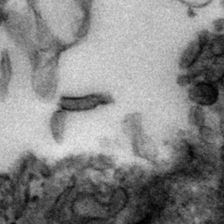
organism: Mouse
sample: Mouse hepatocytes